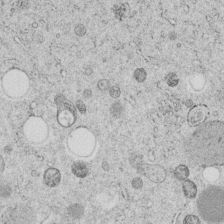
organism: C. elegans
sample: C. elegans embryo early stage